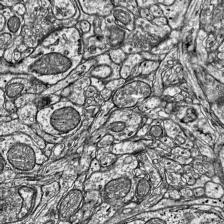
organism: Mouse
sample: Visual Cortex